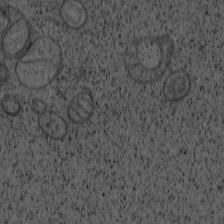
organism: African green monkey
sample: COS-7 cells